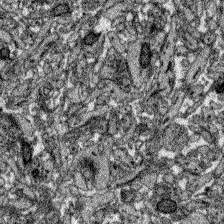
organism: Zebrafish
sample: Larval olfactory bulb